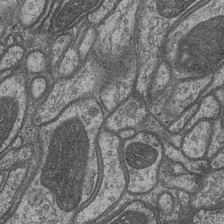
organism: Drosophila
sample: Optic medulla